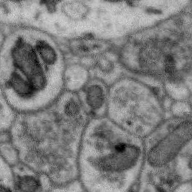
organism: Zebra finch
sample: Brain